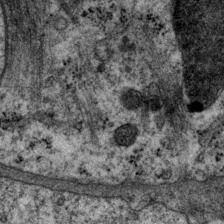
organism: P. pacificus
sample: Pharynx